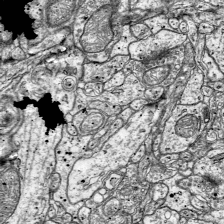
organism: Mouse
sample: Visual Cortex